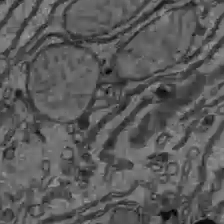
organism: C57BL Mouse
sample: Liver